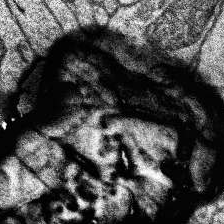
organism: Human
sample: Temporal Lobe